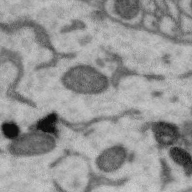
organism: Zebra finch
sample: Brain